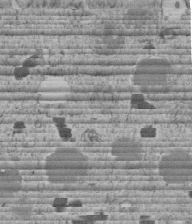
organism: C. elegans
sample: C. elegans embryo early stage